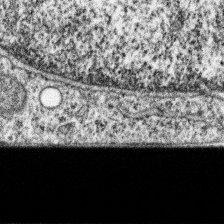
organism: Human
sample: HeLa cells